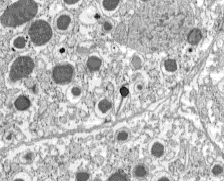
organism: C57BL Mouse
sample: Pancreatic islet